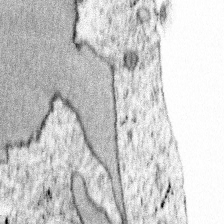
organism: Human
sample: HeLa cells